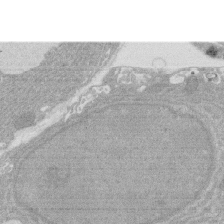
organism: Rat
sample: Salivary granule